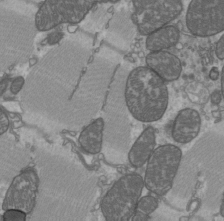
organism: C57BL Mouse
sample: Heart